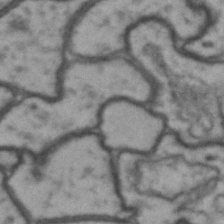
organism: Drosophila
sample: Brain